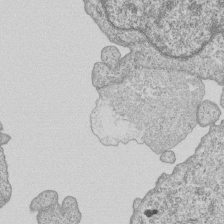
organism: Human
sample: MDA-MB-231 cells